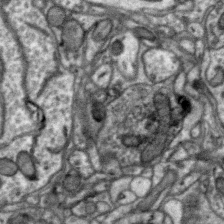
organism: Zebra finch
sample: Brain